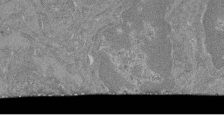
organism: Mouse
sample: Glomerulus